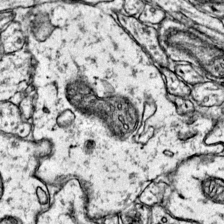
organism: Mouse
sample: Primary visual cortex